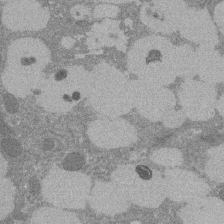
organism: Rat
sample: Salivary granule